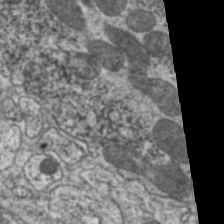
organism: C. elegans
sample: Pharynx